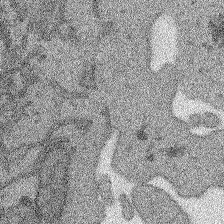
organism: Human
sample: HeLa cells